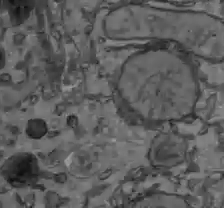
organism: C57BL Mouse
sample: Liver